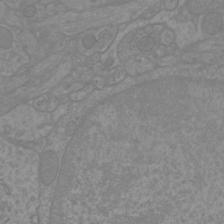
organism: Mouse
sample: Cortical neurons